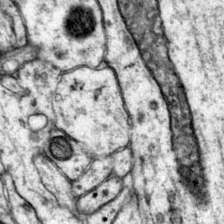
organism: Mouse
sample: Primary visual cortex